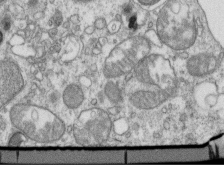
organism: Mouse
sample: Activated OT-1 CD8+ T cells